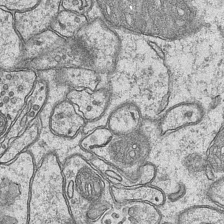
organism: Mouse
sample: CA1 Hippocampus